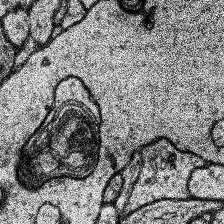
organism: Human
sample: Temporal Lobe